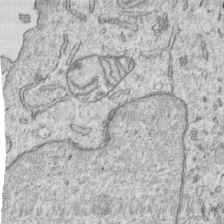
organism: Human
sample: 1205lu cells